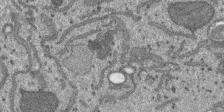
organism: Human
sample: Lung epithelial cells infected with SARS-CoV-2